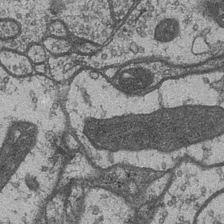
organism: Drosophila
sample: Optic medulla